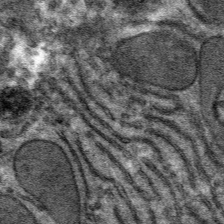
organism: Mouse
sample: Mouse hepatocytes